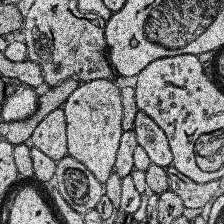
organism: Human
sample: Temporal Lobe